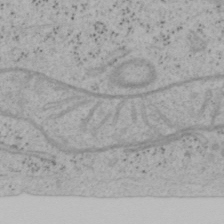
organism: Human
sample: HeLa cells